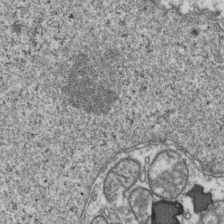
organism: Human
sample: Activated Jurkat CD4+ T cells